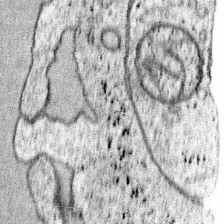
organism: Human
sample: HeLa cells